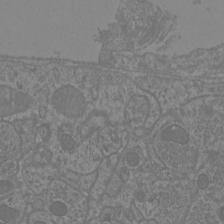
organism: Mouse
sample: Cortical neurons